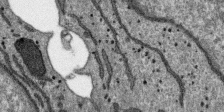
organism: Human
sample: Lung epithelial cells, uninfected (mock) control